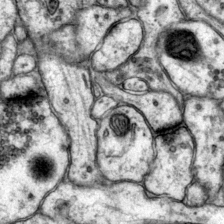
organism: Mouse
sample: Primary visual cortex